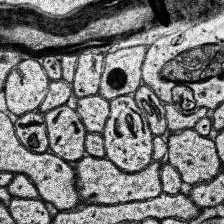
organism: Human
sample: Temporal Lobe